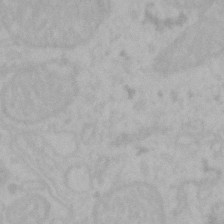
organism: Mouse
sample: Choroid plexus